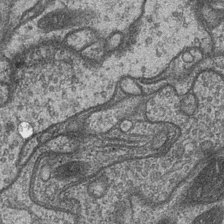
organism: Drosophila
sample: Optic medulla